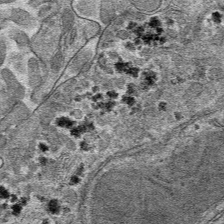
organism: Mouse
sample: Mouse hepatocytes